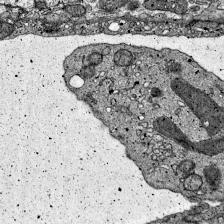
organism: Mouse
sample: Visual Cortex